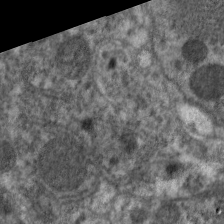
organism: C. elegans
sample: Pharynx